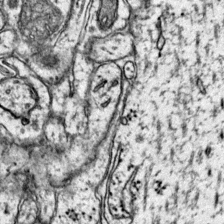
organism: Mouse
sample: Primary visual cortex